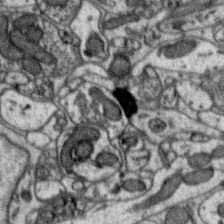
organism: Zebra finch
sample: Brain